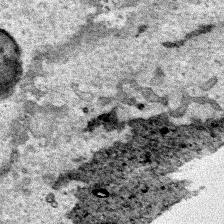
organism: Human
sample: Mitochondria in HCT116 cells